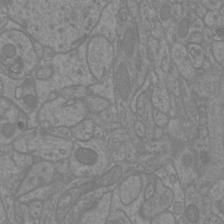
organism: Mouse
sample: Cortical neurons